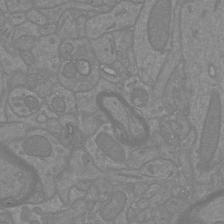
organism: Mouse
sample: Cortical neurons